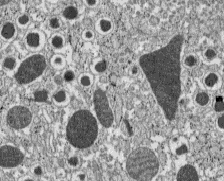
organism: C57BL Mouse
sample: Pancreatic islet